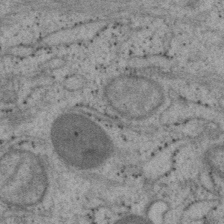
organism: Human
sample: HeLa cells